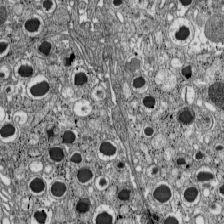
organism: C57BL Mouse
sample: Pancreatic islet